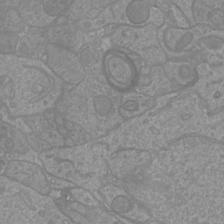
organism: Mouse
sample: Cortical neurons